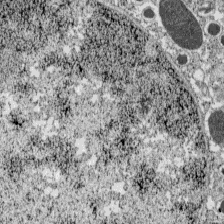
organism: C57BL Mouse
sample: Pancreatic islet